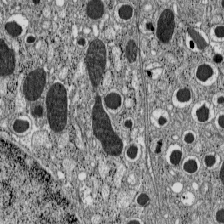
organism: C57BL Mouse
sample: Pancreatic islet